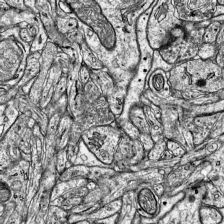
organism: Mouse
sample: Visual Cortex